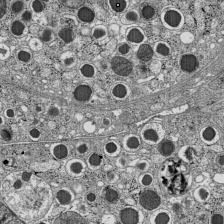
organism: C57BL Mouse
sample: Pancreatic islet